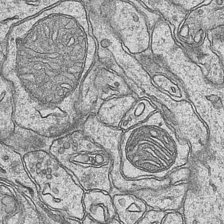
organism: Mouse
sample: CA1 Hippocampus